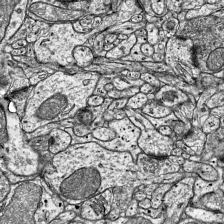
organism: Mouse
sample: Visual Cortex